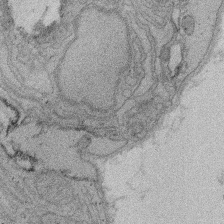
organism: Rat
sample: Salivary granule